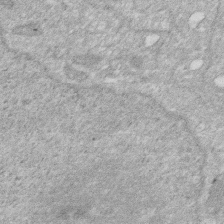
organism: Human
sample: HIV infected U937 cells